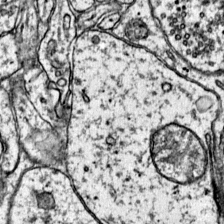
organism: Mouse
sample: Primary visual cortex